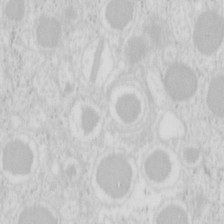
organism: Mouse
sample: Pancreas